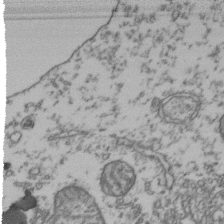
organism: Human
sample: Activated Jurkat CD4+ T cells